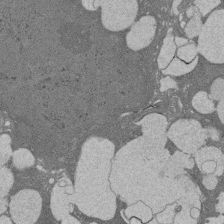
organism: Rat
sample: Salivary granule